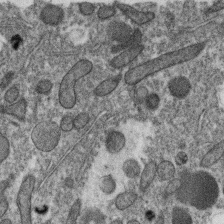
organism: C. elegans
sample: C. elegans oocyte; sperm cells